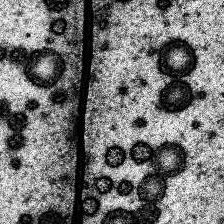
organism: Human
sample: Temporal Lobe